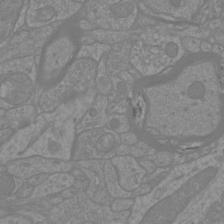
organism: Mouse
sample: Cortical neurons